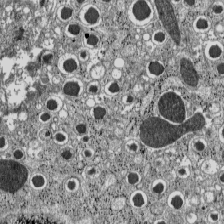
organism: C57BL Mouse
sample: Pancreatic islet